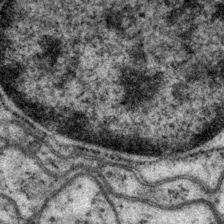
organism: P. pacificus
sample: Pharynx